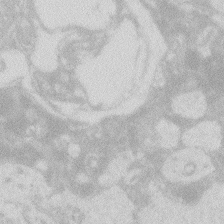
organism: Zebrafish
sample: Macrophage